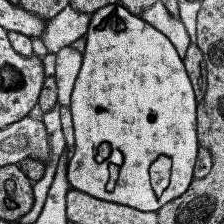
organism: Human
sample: Temporal Lobe